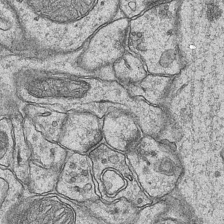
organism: Mouse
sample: CA1 Hippocampus